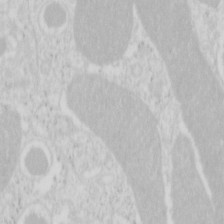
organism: Mouse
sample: Pancreas